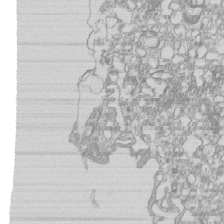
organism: Mouse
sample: Macrophages